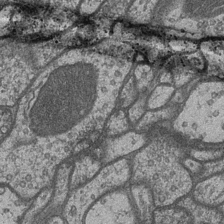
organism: Drosophila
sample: Optic medulla